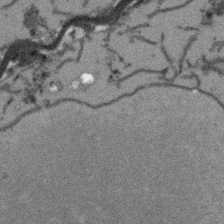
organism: Arabidopsis thaliana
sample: Root tip